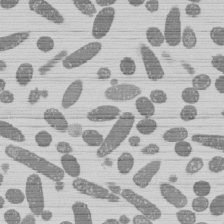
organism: E. coli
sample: Bacterial nucleoid